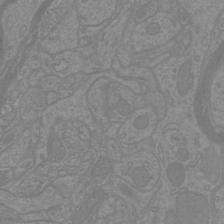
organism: Mouse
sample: Cortical neurons